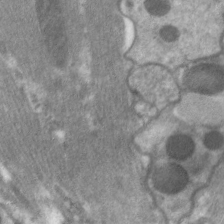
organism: C. elegans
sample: Pharynx